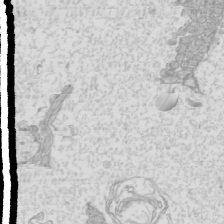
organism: Mouse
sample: Cilia; mouse epididymis